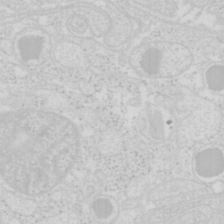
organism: Mouse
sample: Pancreas